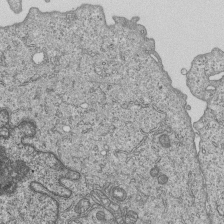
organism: Human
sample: MDA-MB-231 cells